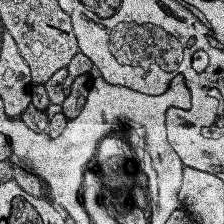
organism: Human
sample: Temporal Lobe